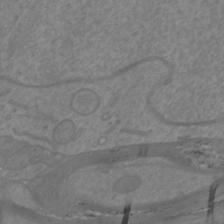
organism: Mouse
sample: Cortical neurons